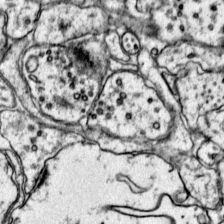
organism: Mouse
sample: Primary visual cortex